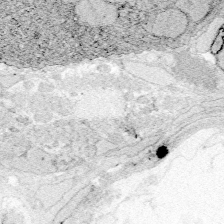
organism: Zebrafish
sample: Whole-Brain